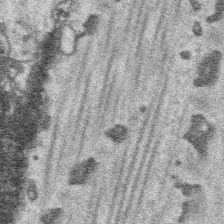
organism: Platynereis dumerilii